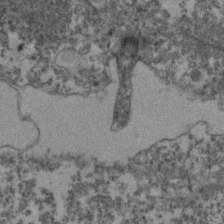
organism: Zebrafish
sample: Zebrafish embryo